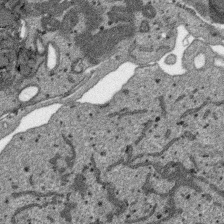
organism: Human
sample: Lung epithelial cells infected with SARS-CoV-2